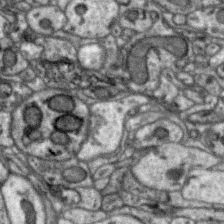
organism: Zebra finch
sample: Brain